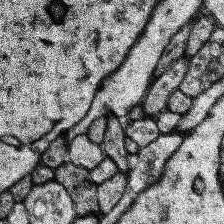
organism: Human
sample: Temporal Lobe